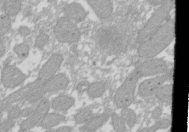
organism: Xenopus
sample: Cilia; centrioles in frog embryo cells